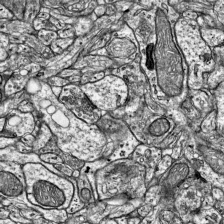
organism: Mouse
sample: Visual Cortex